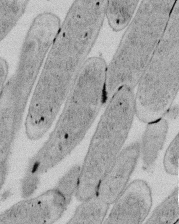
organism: E. coli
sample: Bacterial nucleoid